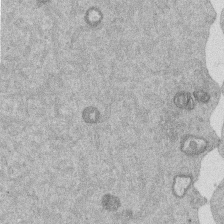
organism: Mouse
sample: Dividing mouse embryo 1 cell stage